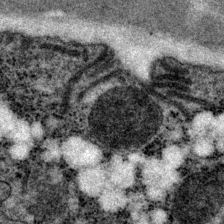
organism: P. pacificus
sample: Pharynx